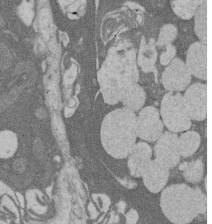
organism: Rat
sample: Salivary granule